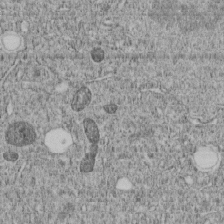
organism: C. elegans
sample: C. elegans embryo early stage